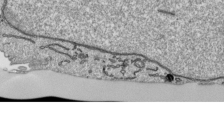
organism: Human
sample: Mitochondria in HCT116 cells